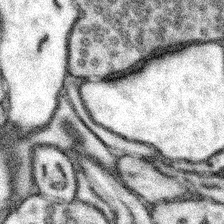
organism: Mouse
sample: Somatosensory cortex neuropil